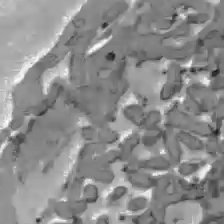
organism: C57BL Mouse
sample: Liver